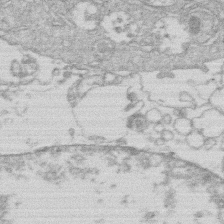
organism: Human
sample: Macrophage cells